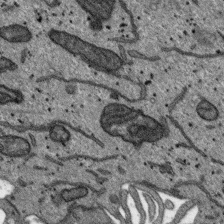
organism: Human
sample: Lung epithelial cells, uninfected (mock) control